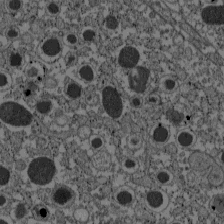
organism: C57BL Mouse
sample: Pancreatic islet